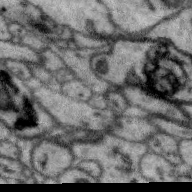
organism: Zebra finch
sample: Brain